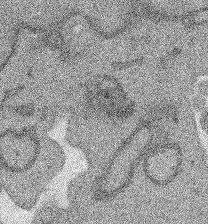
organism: Human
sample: HeLa cells